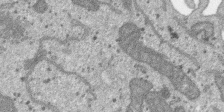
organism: Human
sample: Lung epithelial cells infected with SARS-CoV-2